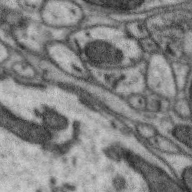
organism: Zebra finch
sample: Brain